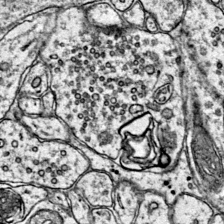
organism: Mouse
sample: Primary visual cortex